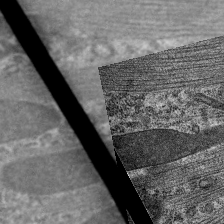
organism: C. elegans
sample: Pharynx